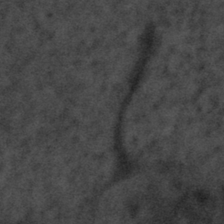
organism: Tuwongella immobilis